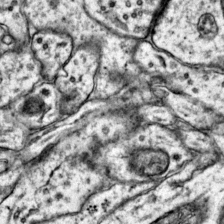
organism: Mouse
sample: Primary visual cortex